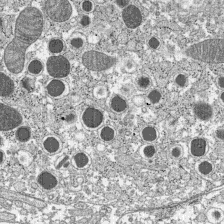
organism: C57BL Mouse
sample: Pancreatic islet